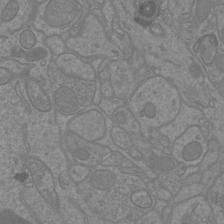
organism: Mouse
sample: Cortical neurons